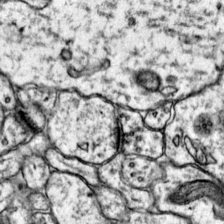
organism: Mouse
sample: Primary visual cortex